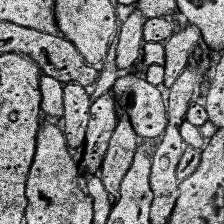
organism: Human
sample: Temporal Lobe